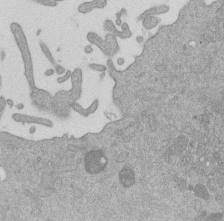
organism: Mouse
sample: Dividing mouse embryo 1 cell stage